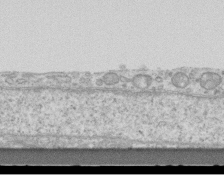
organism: Mouse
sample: Centriole in ependymal cells